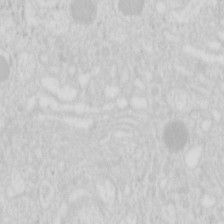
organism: Mouse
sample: Pancreas